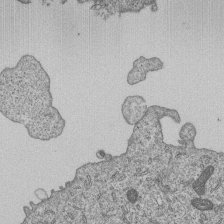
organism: Human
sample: MDA-MB-231 cells